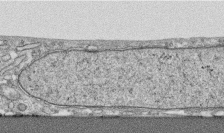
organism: Human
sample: CRL-1474